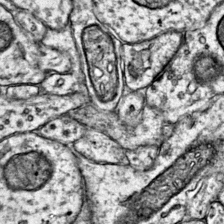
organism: Mouse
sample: Primary visual cortex